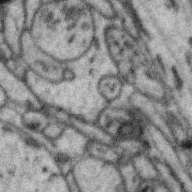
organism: Zebra finch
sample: Brain